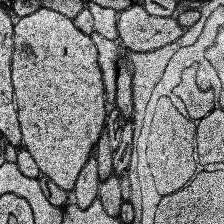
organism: Human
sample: Temporal Lobe